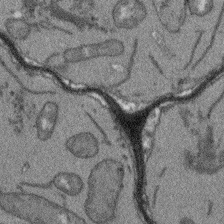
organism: Arabidopsis thaliana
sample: Root tip